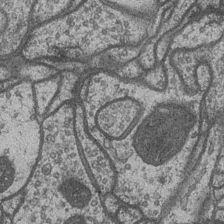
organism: Drosophila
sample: Optic medulla